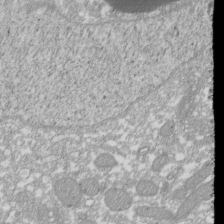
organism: Xenopus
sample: Cilia; centrioles in frog embryo cells